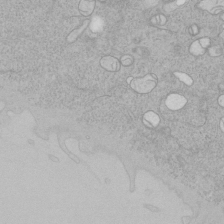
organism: Human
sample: Mitochondria in HCT116 cells